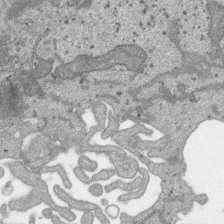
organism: Human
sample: Lung epithelial cells infected with SARS-CoV-2